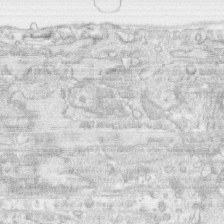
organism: Human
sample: CRL-1474